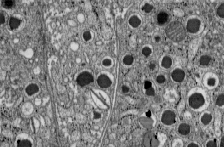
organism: C57BL Mouse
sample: Pancreatic islet